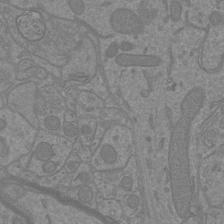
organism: Mouse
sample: Cortical neurons